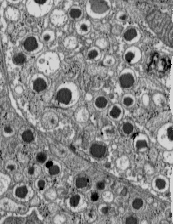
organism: C57BL Mouse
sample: Pancreatic islet